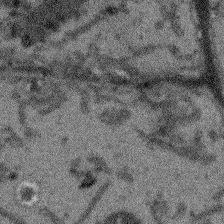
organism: Arabidopsis thaliana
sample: Root tip